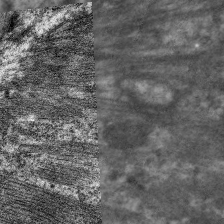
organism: C. elegans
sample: Pharynx